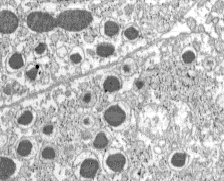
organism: C57BL Mouse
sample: Pancreatic islet